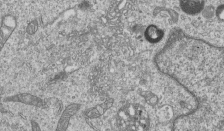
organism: Human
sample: MDA-MB-231 cells